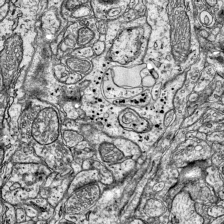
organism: Mouse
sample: Visual Cortex